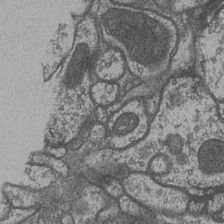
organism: Drosophila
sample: Optic medulla